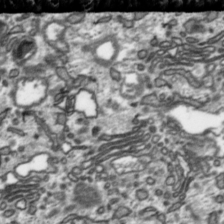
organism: Toxoplasma gondii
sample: Parasites in a vacuole inside a host cell